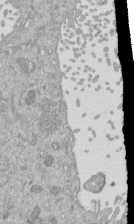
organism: Mouse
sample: ED-1 cell nuclei; centrioles